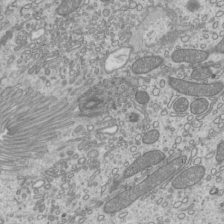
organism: Mouse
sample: Cilia; mouse epididymis